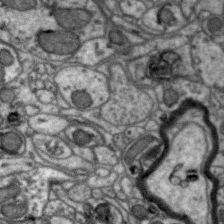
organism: Zebra finch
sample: Brain